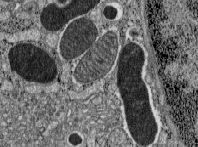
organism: C57BL Mouse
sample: Pancreatic islet